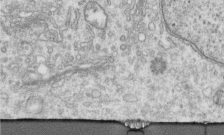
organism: Human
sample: Centriole in RPE cells